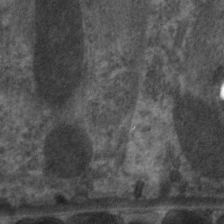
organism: C. elegans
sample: Pharynx